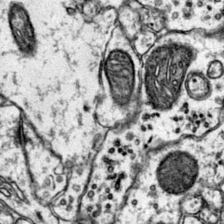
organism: Mouse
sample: Primary visual cortex